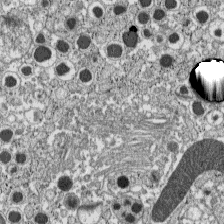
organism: C57BL Mouse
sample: Pancreatic islet